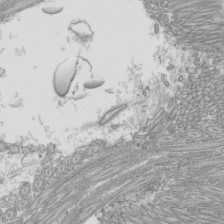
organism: Mouse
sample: Cilia; mouse epididymis